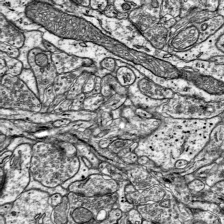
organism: Mouse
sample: Visual Cortex